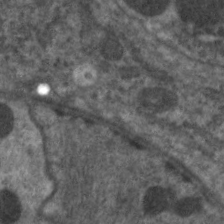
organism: C. elegans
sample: Pharynx